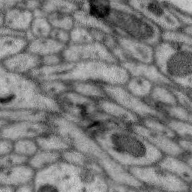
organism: Zebra finch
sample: Brain